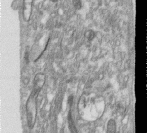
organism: Human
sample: Centriole in RPE cells